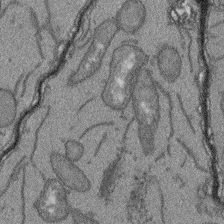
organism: Arabidopsis thaliana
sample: Root tip